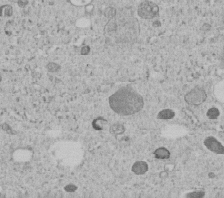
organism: C. elegans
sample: C. elegans embryo early stage